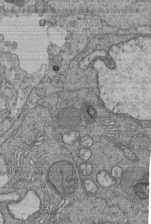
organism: Human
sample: Retinal organoid Rod and Cone cells